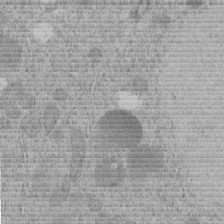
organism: C. elegans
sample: C. elegans embryo early stage